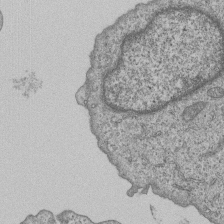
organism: Human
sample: MDA-MB-231 cells